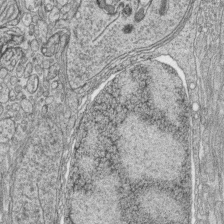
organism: Zebrafish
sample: synaptic ribbons in rod cells and cone cells